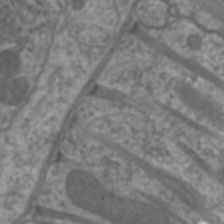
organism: C. elegans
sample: Pharynx